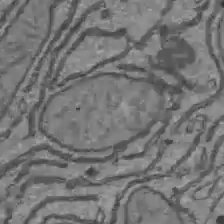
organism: C57BL Mouse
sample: Liver